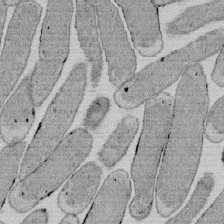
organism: E. coli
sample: Bacterial nucleoid